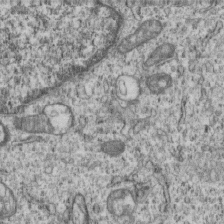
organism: Human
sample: MDA-MB-231 cells